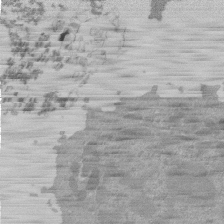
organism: Mouse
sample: Activated Pmel transgenic CD8+ T Cells